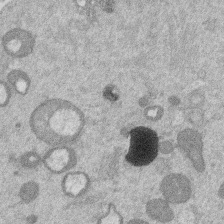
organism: Mouse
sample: Dividing mouse embryo 1 cell stage